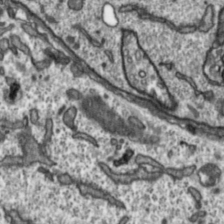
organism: Toxoplasma gondii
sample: Parasites in a vacuole inside a host cell